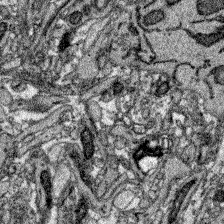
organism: Zebrafish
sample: Larval olfactory bulb